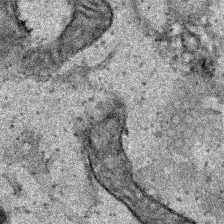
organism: Human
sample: Mitochondria in HCT116 cells